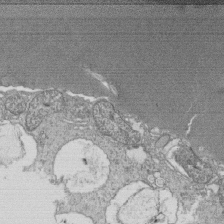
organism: Tetrahymena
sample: Cilia in tetrahymena